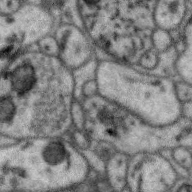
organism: Zebra finch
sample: Brain